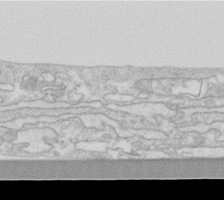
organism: Human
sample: Fibroblast cells